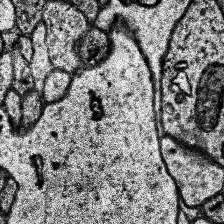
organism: Human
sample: Temporal Lobe